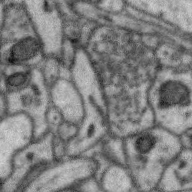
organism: Zebra finch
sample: Brain